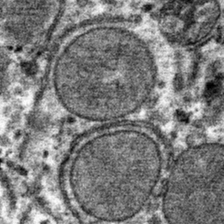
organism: Mouse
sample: Mouse hepatocytes